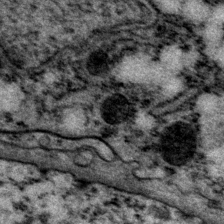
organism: P. pacificus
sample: Pharynx